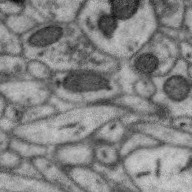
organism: Zebra finch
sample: Brain